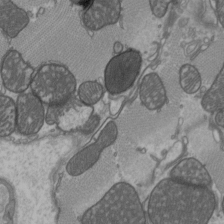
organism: C57BL Mouse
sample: Heart